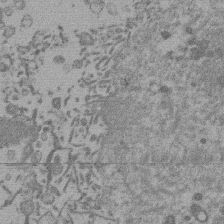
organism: Mouse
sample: Dividing mouse embryo 1 cell stage